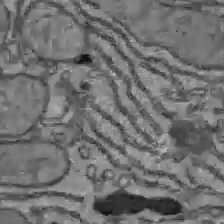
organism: C57BL Mouse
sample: Liver